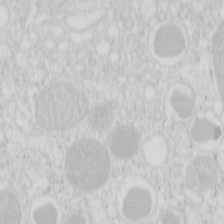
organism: Mouse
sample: Pancreas